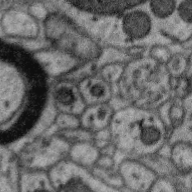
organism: Zebra finch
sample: Brain